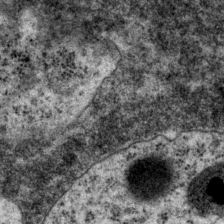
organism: P. pacificus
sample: Pharynx